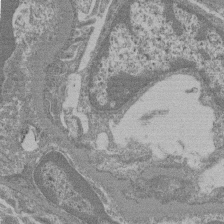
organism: Mouse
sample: Glomerulus